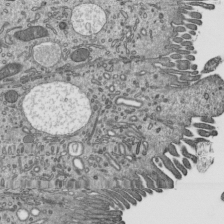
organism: Mouse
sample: Mouse epididymis efferent ductule cilia